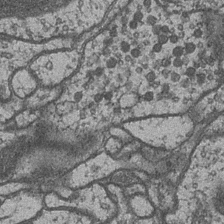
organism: Drosophila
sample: Optic medulla